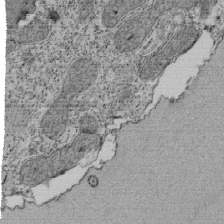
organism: Tetrahymena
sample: Cilia in tetrahymena